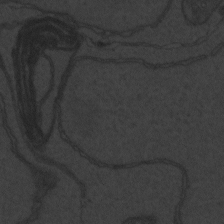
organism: Zebrafish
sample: Macrophage infected with Toxoplasma gondii